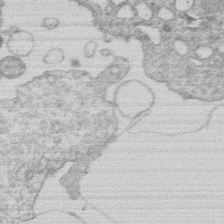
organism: Human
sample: Macrophage cells